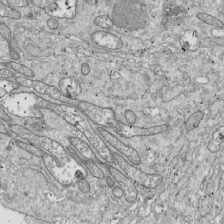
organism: Drosophila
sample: Cell division; meiosis; drosophila spermatocytes